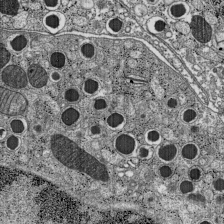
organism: C57BL Mouse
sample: Pancreatic islet